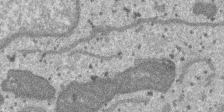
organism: Human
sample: Lung epithelial cells infected with SARS-CoV-2